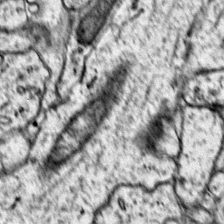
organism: Mouse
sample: Primary visual cortex